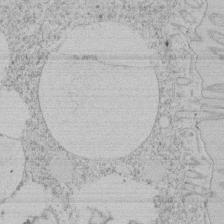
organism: Tetrahymena